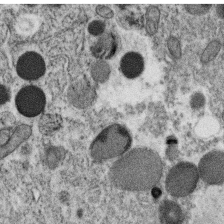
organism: C. elegans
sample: C. elegans oocyte; sperm cells